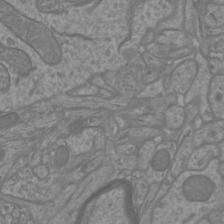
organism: Mouse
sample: Cortical neurons